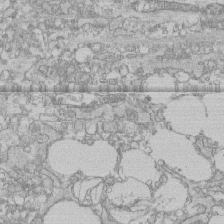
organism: Human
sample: CRL-1474